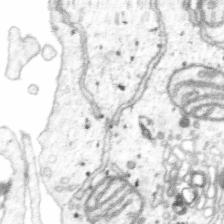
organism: Human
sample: HeLa cells